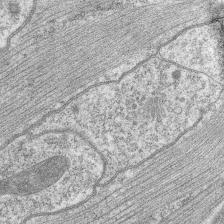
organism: C. elegans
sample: Pharynx